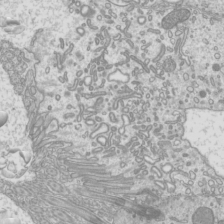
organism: Mouse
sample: Cilia; mouse epididymis